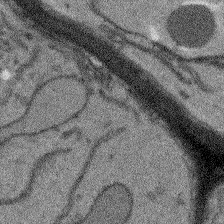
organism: Arabidopsis thaliana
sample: Root tip